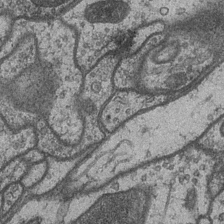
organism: Drosophila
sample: Optic medulla